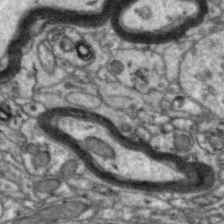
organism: Zebra finch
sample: Brain